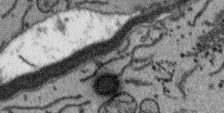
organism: Arabidopsis thaliana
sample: Root tip